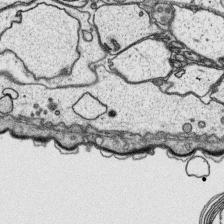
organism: Platynereis dumerilii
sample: Parapodia